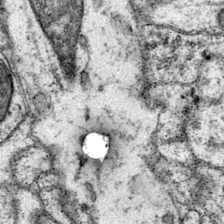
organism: Mouse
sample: Primary visual cortex